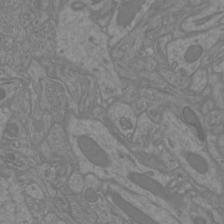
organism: Mouse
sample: Cortical neurons